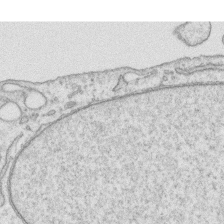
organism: Human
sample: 1205lu cells